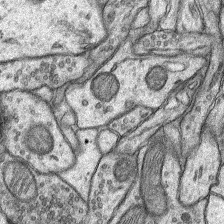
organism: Rat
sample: Hippocampus